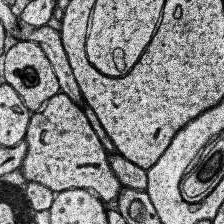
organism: Human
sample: Temporal Lobe